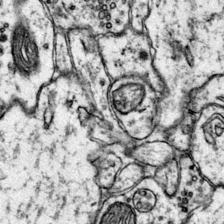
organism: Mouse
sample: Primary visual cortex